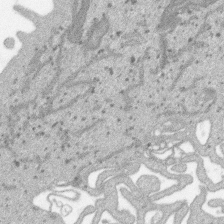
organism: Human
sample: Lung epithelial cells infected with SARS-CoV-2